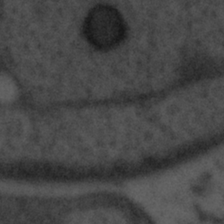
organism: Tuwongella immobilis